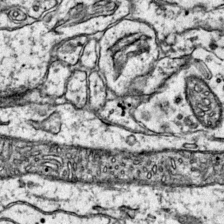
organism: Mouse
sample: Primary visual cortex